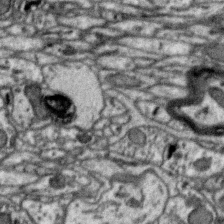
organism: Zebra finch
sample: Brain